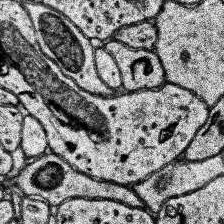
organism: Human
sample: Temporal Lobe